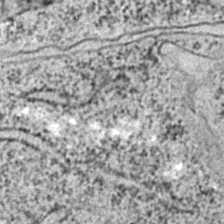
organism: C. elegans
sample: C. elegans embryo